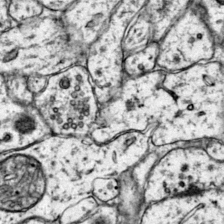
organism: Mouse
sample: Primary visual cortex